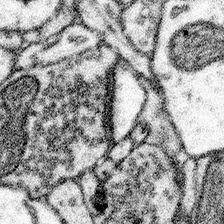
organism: Mouse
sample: Somatosensory cortex neuropil